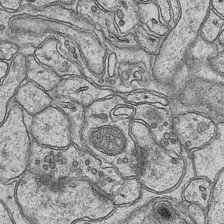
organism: Mouse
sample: CA1 Hippocampus